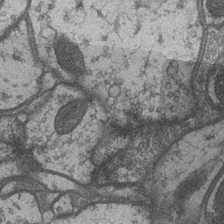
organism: Drosophila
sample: Optic medulla